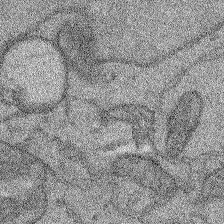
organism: Human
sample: HeLa cells